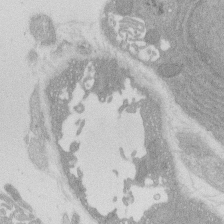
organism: Rat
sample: Salivary granule